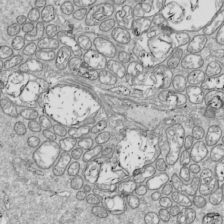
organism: Drosophila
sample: Cell division; meiosis; drosophila spermatocytes